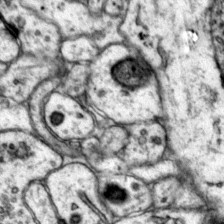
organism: Mouse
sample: Primary visual cortex